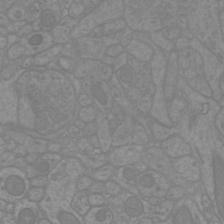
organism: Mouse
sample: Cortical neurons